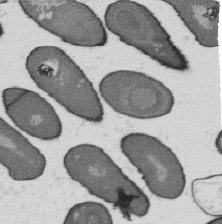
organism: B. subtilis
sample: Bacterial spore